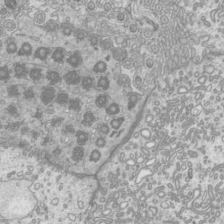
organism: Mouse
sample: Cilia; mouse epididymis